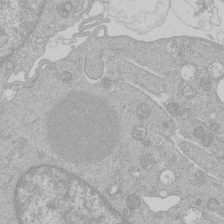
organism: Human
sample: Macrophage cells